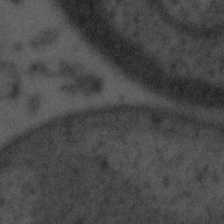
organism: Tuwongella immobilis